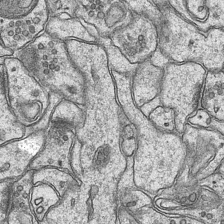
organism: Mouse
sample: CA1 Hippocampus